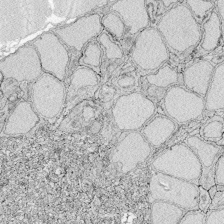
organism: Zebrafish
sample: Whole-Brain